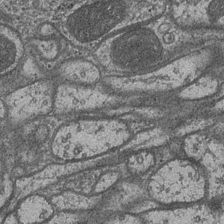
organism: Drosophila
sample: Optic medulla